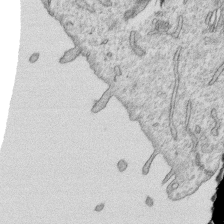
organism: Human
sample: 1205lu cells